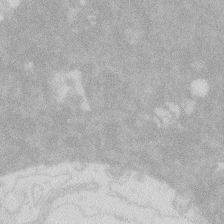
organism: Zebrafish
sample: Macrophage